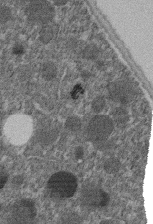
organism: C. elegans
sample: C. elegans embryo early stage